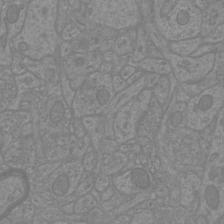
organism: Mouse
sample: Cortical neurons